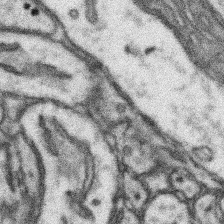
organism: Mouse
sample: Somatosensory cortex neuropil